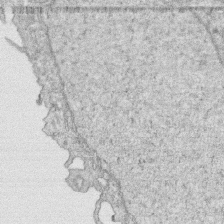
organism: Human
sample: HeLa cell HIV synapse